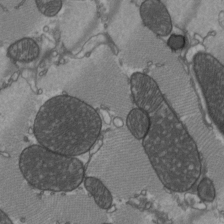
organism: C57BL Mouse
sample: Heart